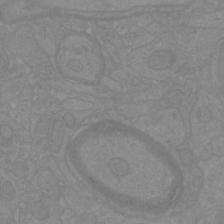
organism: Mouse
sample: Cortical neurons